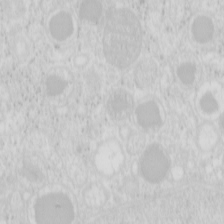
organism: Mouse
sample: Pancreas